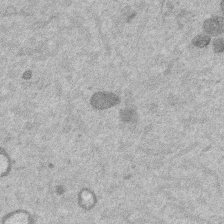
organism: Mouse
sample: Dividing mouse embryo 1 cell stage